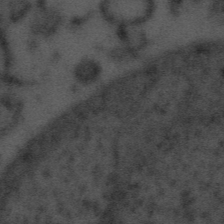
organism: Tuwongella immobilis